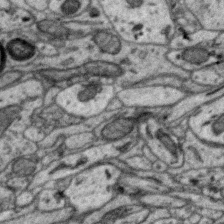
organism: Zebra finch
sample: Brain